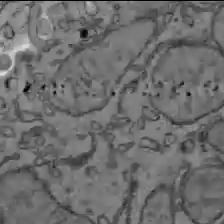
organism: C57BL Mouse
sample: Liver